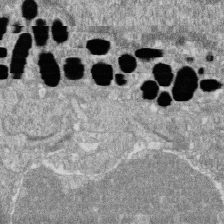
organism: Zebrafish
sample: Cilia; retinal pigment epithelium